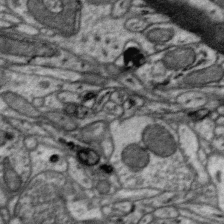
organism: Zebra finch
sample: Brain